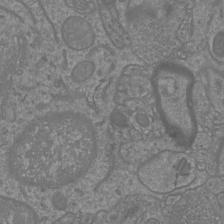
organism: Mouse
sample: Cortical neurons